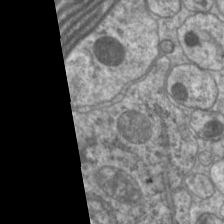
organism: C. elegans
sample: Pharynx